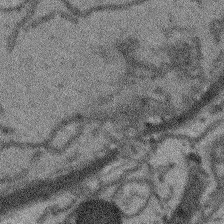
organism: Arabidopsis thaliana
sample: Root tip